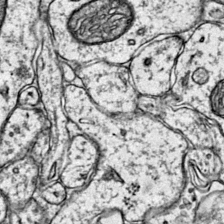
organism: Mouse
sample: Primary visual cortex